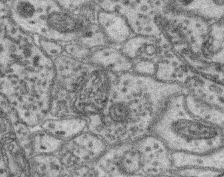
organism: Mouse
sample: Retina